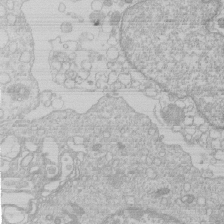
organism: Human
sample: Macrophage cells